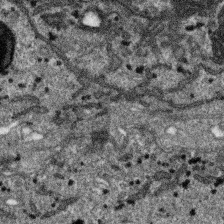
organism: Human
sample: Lung epithelial cells infected with SARS-CoV-2